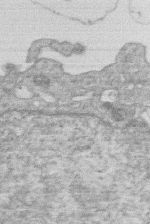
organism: Human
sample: Macrophage cells